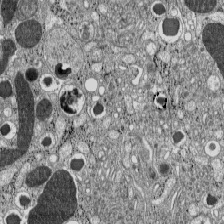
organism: C57BL Mouse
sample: Pancreatic islet